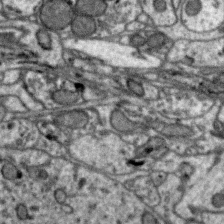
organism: Zebra finch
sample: Brain